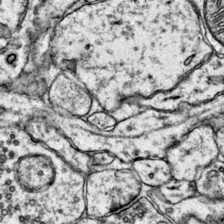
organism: Mouse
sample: Primary visual cortex